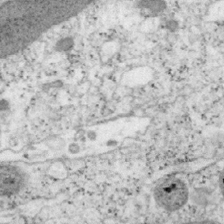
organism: Mouse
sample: OT-I killer T cells with ID8 ovarian cancer cells